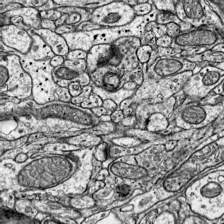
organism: Mouse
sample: Visual Cortex